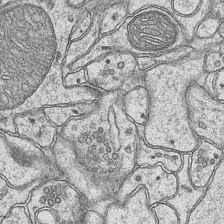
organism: Mouse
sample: CA1 Hippocampus